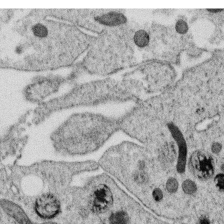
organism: C. elegans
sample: C. elegans oocyte; sperm cells